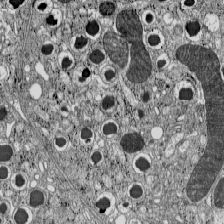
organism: C57BL Mouse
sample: Pancreatic islet